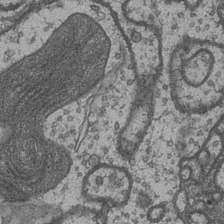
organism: Drosophila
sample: Optic medulla